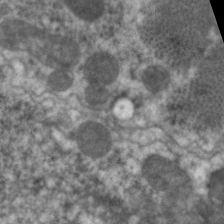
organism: C. elegans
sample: Pharynx